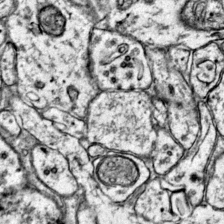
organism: Mouse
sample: Primary visual cortex